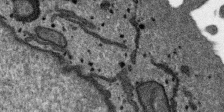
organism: Human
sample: Lung epithelial cells, uninfected (mock) control